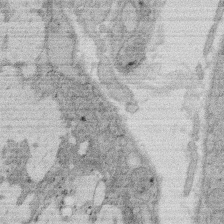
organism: Rat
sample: Salivary granule